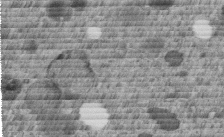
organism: C. elegans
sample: C. elegans embryo early stage